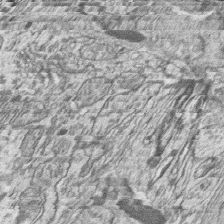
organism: Zebrafish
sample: synaptic ribbons in rod cells and cone cells